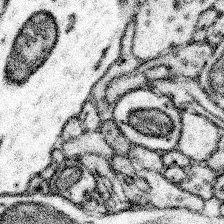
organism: Mouse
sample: Somatosensory cortex neuropil